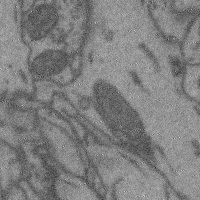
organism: Mouse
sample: Cerebral cortex